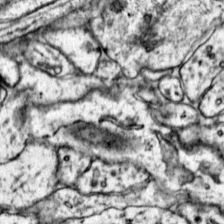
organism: Mouse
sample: Primary visual cortex